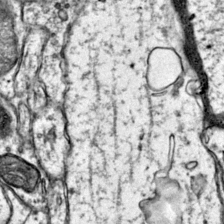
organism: Mouse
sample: Primary visual cortex